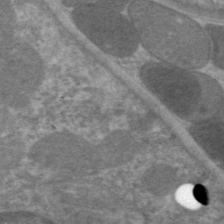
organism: C. elegans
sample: Pharynx